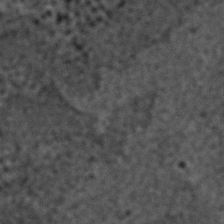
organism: C. elegans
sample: C. elegans embryo